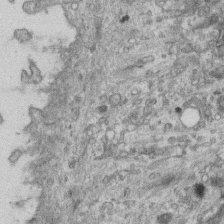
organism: Mouse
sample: Centriole in ependymal cells